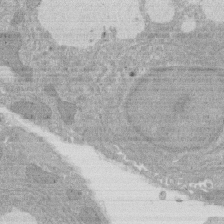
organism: Rat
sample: Salivary granule